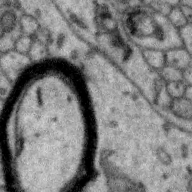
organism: Zebra finch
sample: Brain